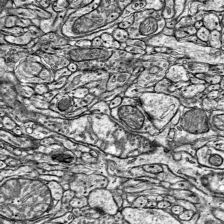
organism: Mouse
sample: Visual Cortex